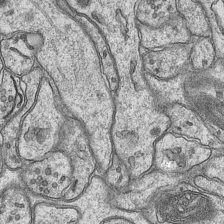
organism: Mouse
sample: CA1 Hippocampus